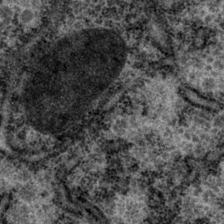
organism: P. pacificus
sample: Pharynx